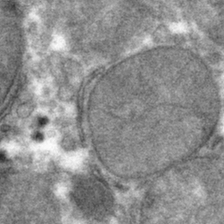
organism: Mouse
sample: Mouse hepatocytes